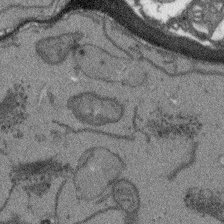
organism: Arabidopsis thaliana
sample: Root tip